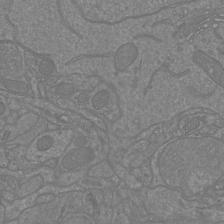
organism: Mouse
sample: Cortical neurons